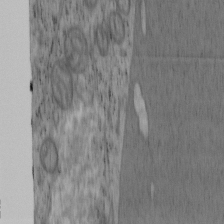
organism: Human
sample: HeLa cells